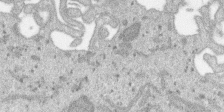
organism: Human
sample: Lung epithelial cells infected with SARS-CoV-2